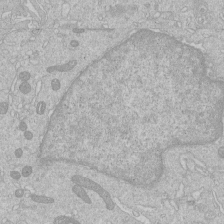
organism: Human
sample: Macrophage cells